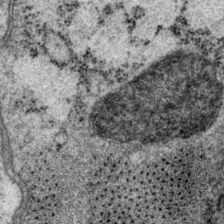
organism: P. pacificus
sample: Pharynx